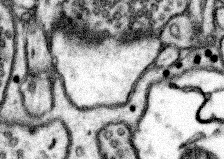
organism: Mouse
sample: Somatosensory cortex neuropil